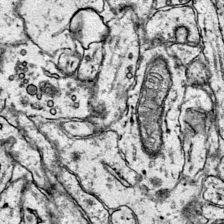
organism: Mouse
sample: Primary visual cortex